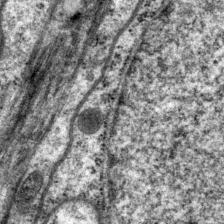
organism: P. pacificus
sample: Pharynx